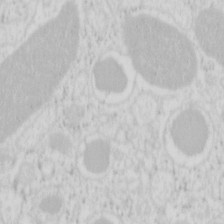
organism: Mouse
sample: Pancreas